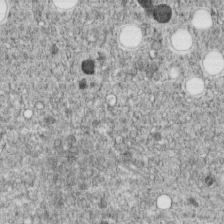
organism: C. elegans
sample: C. elegans embryo early stage